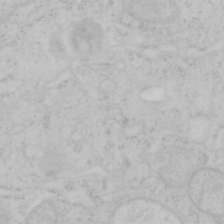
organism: Mouse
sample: OT-I killer T cells with ID8 ovarian cancer cells